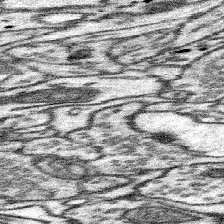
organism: Mouse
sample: Somatosensory cortex neuropil